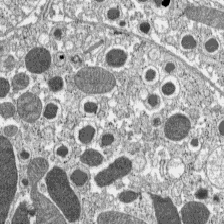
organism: C57BL Mouse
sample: Pancreatic islet